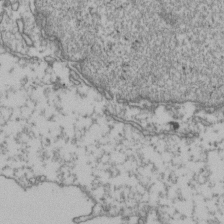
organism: Human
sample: Activated Jurkat CD4+ T cells